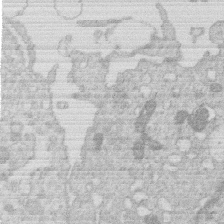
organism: Human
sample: Macrophage cells